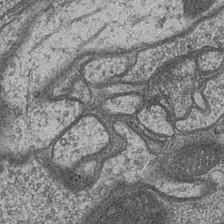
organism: Drosophila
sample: Optic medulla